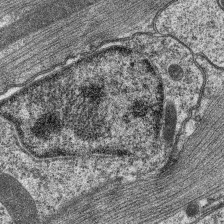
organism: C. elegans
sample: Pharynx